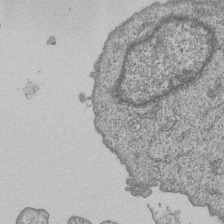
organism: Human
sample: MDA-MB-231 cells